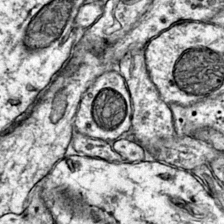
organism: Mouse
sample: Primary visual cortex